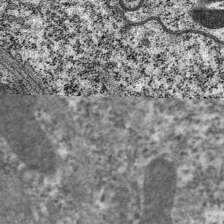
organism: C. elegans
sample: Pharynx